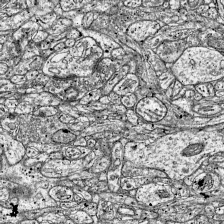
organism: Mouse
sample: Visual Cortex